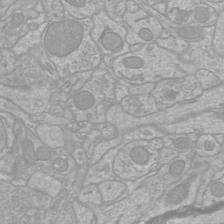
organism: Mouse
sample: Cortical neurons